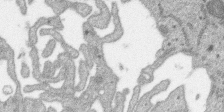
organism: Human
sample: Lung epithelial cells infected with SARS-CoV-2